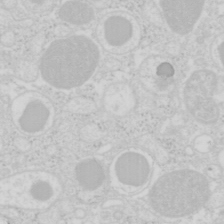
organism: Mouse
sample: Pancreas